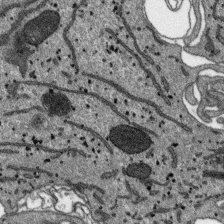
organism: Human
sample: Lung epithelial cells, uninfected (mock) control